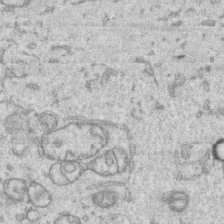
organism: Human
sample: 1205lu cells